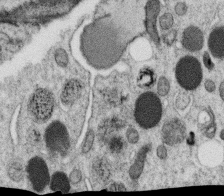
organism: C. elegans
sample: C. elegans oocyte; sperm cells